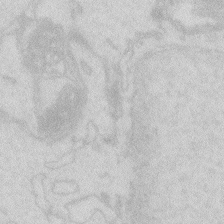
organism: Zebrafish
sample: Macrophage